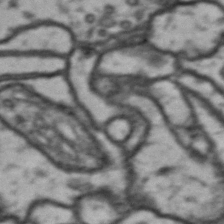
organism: Drosophila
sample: Brain